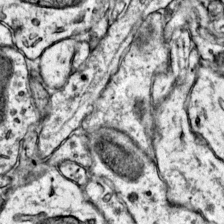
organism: Mouse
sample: Primary visual cortex